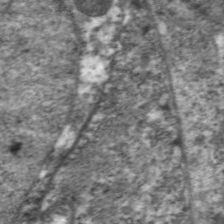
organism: C. elegans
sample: Pharynx